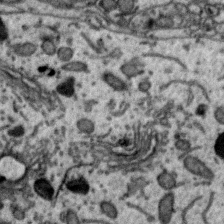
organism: Zebra finch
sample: Brain